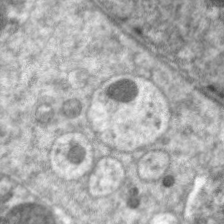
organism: C. elegans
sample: Pharynx